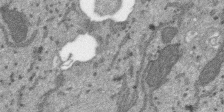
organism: Human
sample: Lung epithelial cells infected with SARS-CoV-2